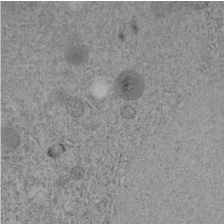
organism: C. elegans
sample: C. elegans embryo early stage